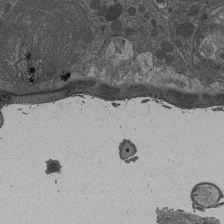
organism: Drosophila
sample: Antenna